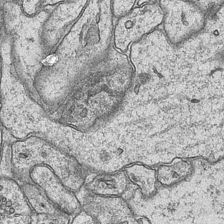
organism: Mouse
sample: CA1 Hippocampus